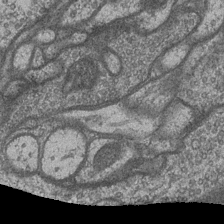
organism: Drosophila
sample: Optic medulla